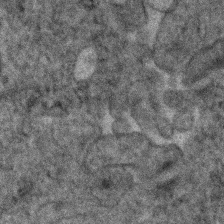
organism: Human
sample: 1205lu cells